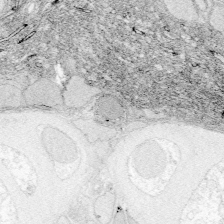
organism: Zebrafish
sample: Whole-Brain